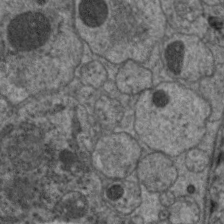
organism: C. elegans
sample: Pharynx